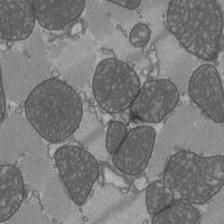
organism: C57BL Mouse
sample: Heart